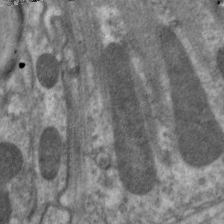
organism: C. elegans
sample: Pharynx